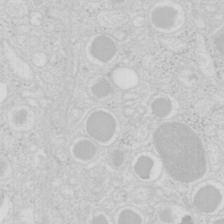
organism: Mouse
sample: Pancreas